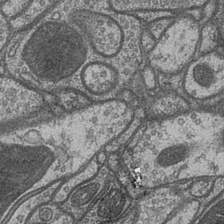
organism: Drosophila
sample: Optic medulla